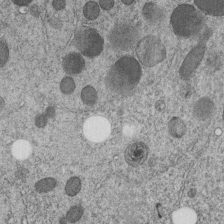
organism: C. elegans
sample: C. elegans embryo early stage